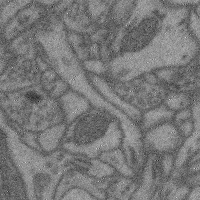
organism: Mouse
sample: Cerebral cortex